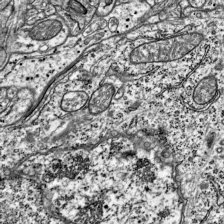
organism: Mouse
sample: Visual Cortex